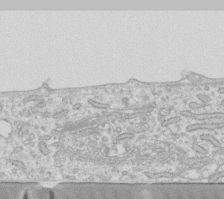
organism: Human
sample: Fibroblast cells